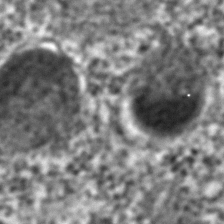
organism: C. elegans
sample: C. elegans embryo